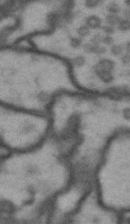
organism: Drosophila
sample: Brain